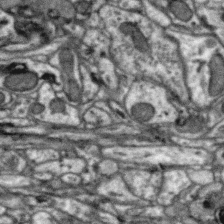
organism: Zebra finch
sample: Brain